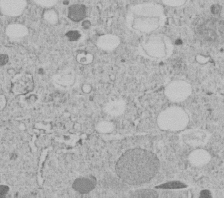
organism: C. elegans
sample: C. elegans embryo early stage